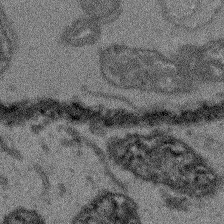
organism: Arabidopsis thaliana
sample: Root tip